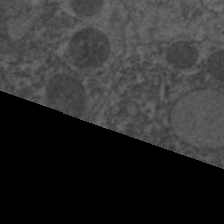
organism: C. elegans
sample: Pharynx